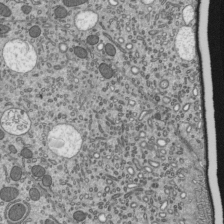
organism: Mouse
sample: Mouse epididymis efferent ductule cilia